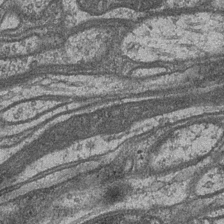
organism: Drosophila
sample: Optic medulla